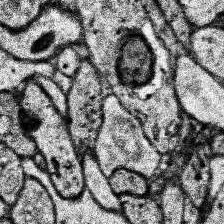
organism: Human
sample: Temporal Lobe